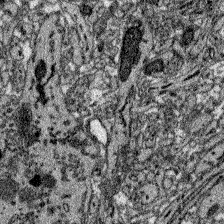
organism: Zebrafish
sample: Larval olfactory bulb